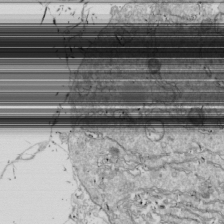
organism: Drosophila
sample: Cell division; meiosis; drosophila spermatocytes